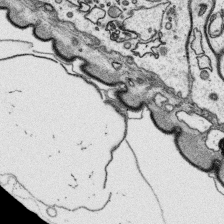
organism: Platynereis dumerilii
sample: Parapodia